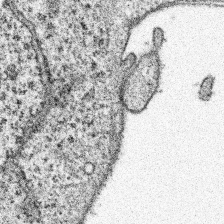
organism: Human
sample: HeLa cells